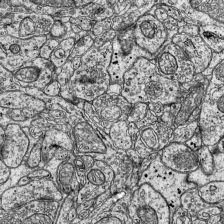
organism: Mouse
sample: Visual Cortex